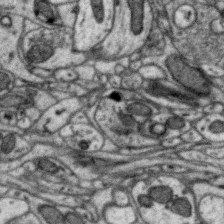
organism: Zebra finch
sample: Brain